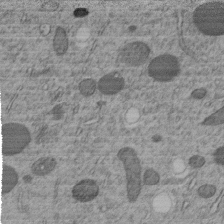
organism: C. elegans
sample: C. elegans embryo early stage